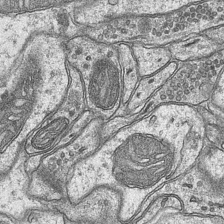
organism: Mouse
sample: CA1 Hippocampus